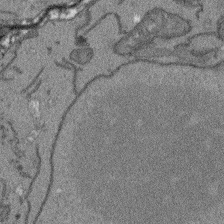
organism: Arabidopsis thaliana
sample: Root tip